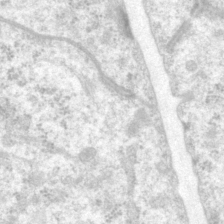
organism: P. pacificus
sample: Pharynx